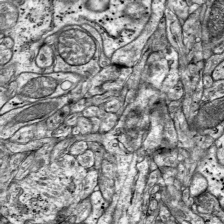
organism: Mouse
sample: Visual Cortex